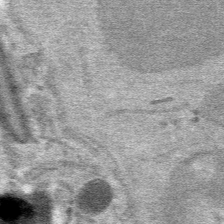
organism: Mouse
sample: Mouse hepatocytes